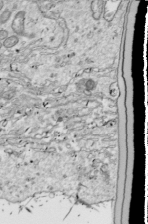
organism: Drosophila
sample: Cell division; meiosis; drosophila spermatocytes